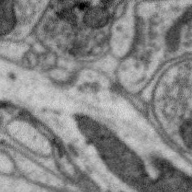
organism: Zebra finch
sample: Brain